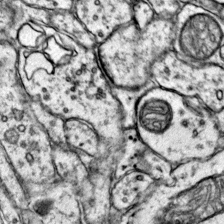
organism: Mouse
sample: Primary visual cortex